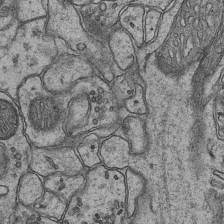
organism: Mouse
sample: CA1 Hippocampus